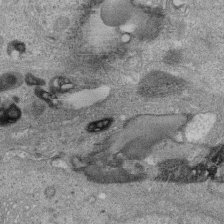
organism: Human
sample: Retinal organoid Rod and Cone cells